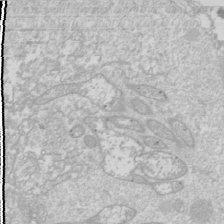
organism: Drosophila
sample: Cell division; meiosis; drosophila spermatocytes